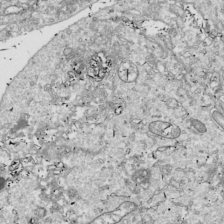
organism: Drosophila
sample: Cell division; meiosis; drosophila spermatocytes